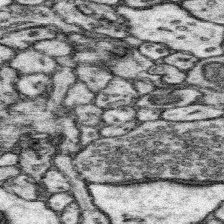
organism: Mouse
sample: Somatosensory cortex neuropil